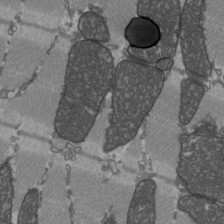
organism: C57BL Mouse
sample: Heart